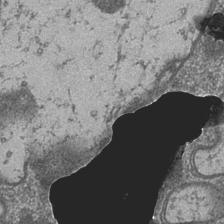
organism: Drosophila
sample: Optic medulla